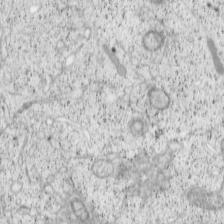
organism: African green monkey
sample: COS-7 cells